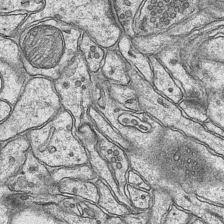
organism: Mouse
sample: CA1 Hippocampus